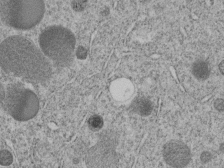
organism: C. elegans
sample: C. elegans embryo early stage